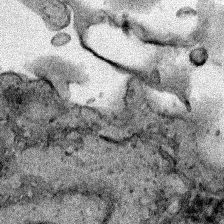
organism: Human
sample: Mitochondria in HCT116 cells